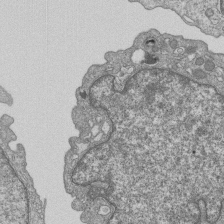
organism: Human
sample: MDA-MB-231 cells